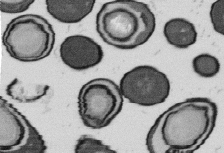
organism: B. subtilis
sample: Bacterial spore